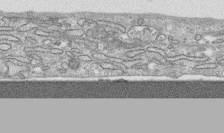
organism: Human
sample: CRL-1474